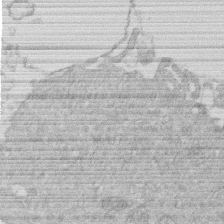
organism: Human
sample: Macrophage cells